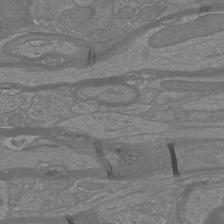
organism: Mouse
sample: Cortical neurons